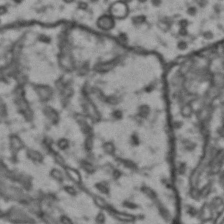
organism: Drosophila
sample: Brain